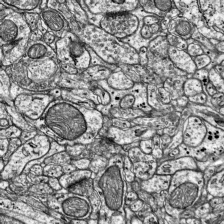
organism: Mouse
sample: Visual Cortex